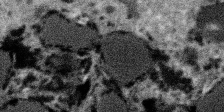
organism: Human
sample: Lung epithelial cells infected with SARS-CoV-2